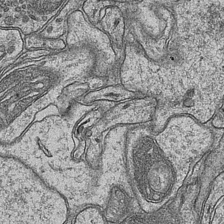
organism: Mouse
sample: CA1 Hippocampus